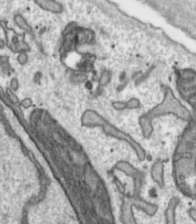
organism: Toxoplasma gondii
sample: Parasites in a vacuole inside a host cell